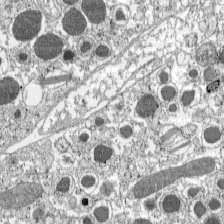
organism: C57BL Mouse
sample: Pancreatic islet